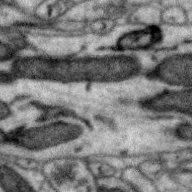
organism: Zebra finch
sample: Brain